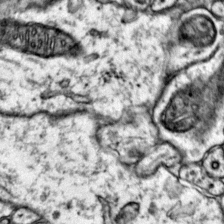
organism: Mouse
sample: Primary visual cortex